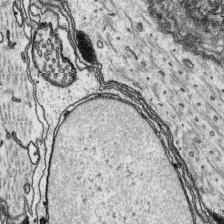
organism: Platynereis dumerilii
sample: Parapodia